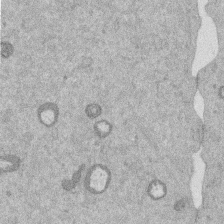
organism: Mouse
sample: Dividing mouse embryo 1 cell stage